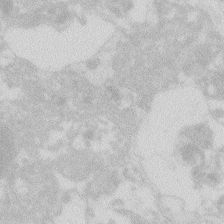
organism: Zebrafish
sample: Macrophage